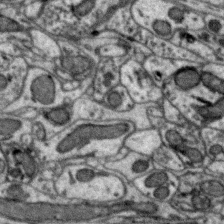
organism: Zebra finch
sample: Brain